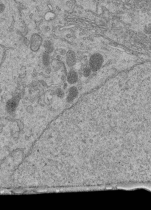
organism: Human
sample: Retinal organoid Rod and Cone cells